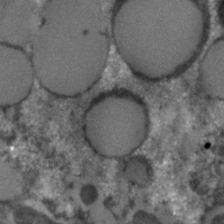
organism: C. elegans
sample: C. elegans embryo